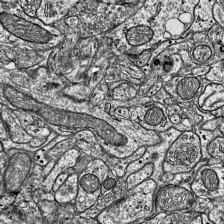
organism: Mouse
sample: Visual Cortex